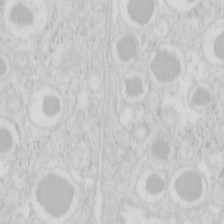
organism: Mouse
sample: Pancreas